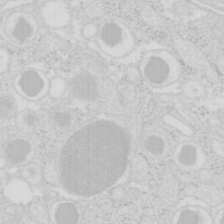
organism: Mouse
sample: Pancreas